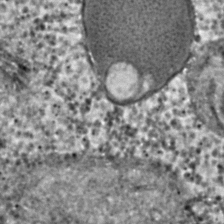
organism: C. elegans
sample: C. elegans embryo